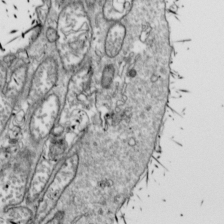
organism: Drosophila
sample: Cell division; meiosis; drosophila spermatocytes